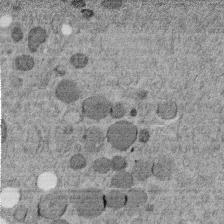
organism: C. elegans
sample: C. elegans embryo early stage